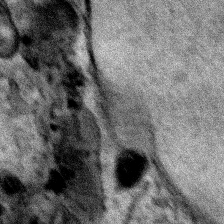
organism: Human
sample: Mitochondria in HCT116 cells